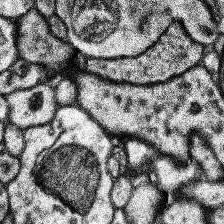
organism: Human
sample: Temporal Lobe